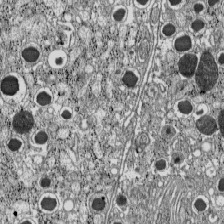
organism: C57BL Mouse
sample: Pancreatic islet